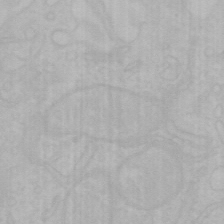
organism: Mouse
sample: Choroid plexus